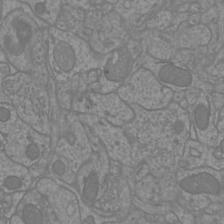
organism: Mouse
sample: Cortical neurons